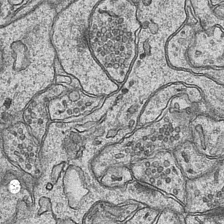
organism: Mouse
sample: CA1 Hippocampus